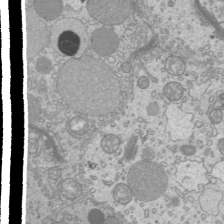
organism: Mouse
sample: Cilia; mouse epididymis